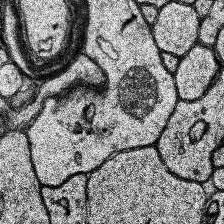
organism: Human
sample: Temporal Lobe